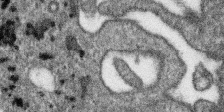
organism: Human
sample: Lung epithelial cells infected with SARS-CoV-2